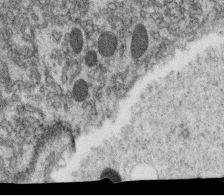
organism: C. elegans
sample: C. elegans oocyte; sperm cells